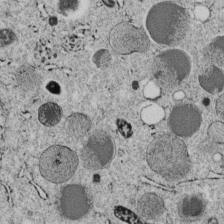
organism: C. elegans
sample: C. elegans embryo early stage